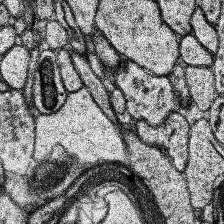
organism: Human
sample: Temporal Lobe